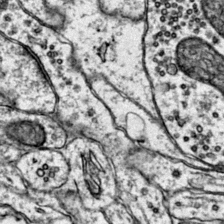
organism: Mouse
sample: Primary visual cortex